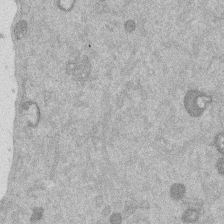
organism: Mouse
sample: Dividing mouse embryo 1 cell stage